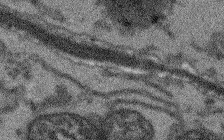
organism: Arabidopsis thaliana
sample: Root tip